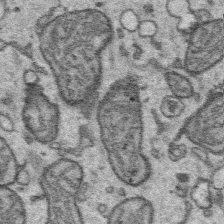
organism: Platynereis dumerilii